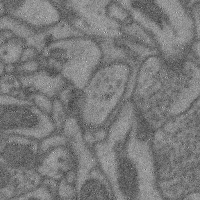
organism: Mouse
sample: Cerebral cortex